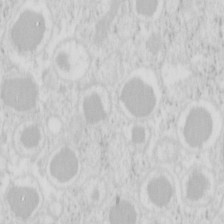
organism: Mouse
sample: Pancreas